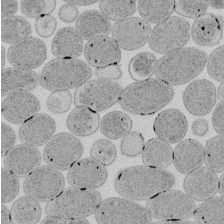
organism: E. coli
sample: Bacterial nucleoid